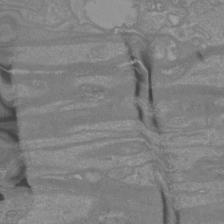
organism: Mouse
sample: Cortical neurons